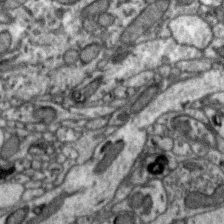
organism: Zebra finch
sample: Brain